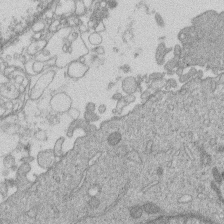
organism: Human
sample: Macrophage cells